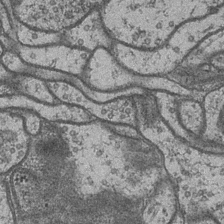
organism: Drosophila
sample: Optic medulla